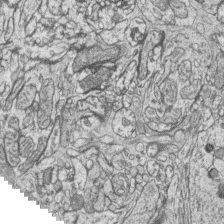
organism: Zebrafish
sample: synaptic ribbons in rod cells and cone cells